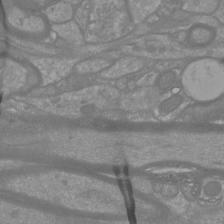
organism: Mouse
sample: Cortical neurons